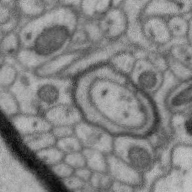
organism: Zebra finch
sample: Brain